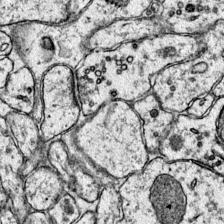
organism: Mouse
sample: Primary visual cortex